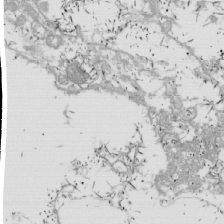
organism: Drosophila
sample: Cell division; meiosis; drosophila spermatocytes